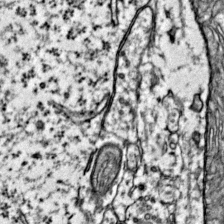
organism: Mouse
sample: Primary visual cortex